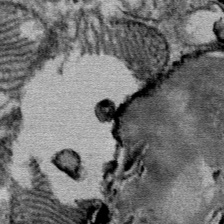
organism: Mouse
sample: Mouse Salivary gland